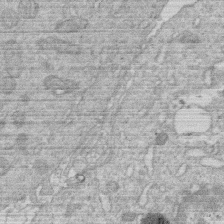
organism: Human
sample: Macrophage cells